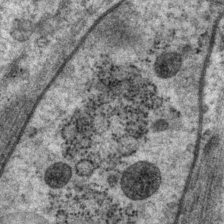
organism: P. pacificus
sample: Pharynx